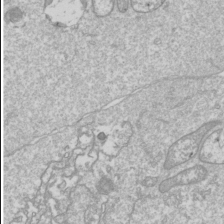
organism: Drosophila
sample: Cell division; meiosis; drosophila spermatocytes